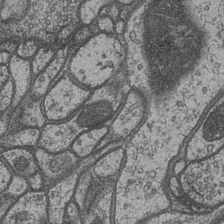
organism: Drosophila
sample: Optic medulla